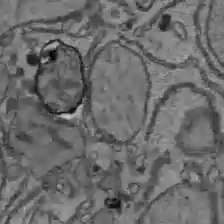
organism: C57BL Mouse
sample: Liver